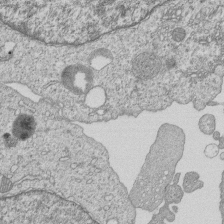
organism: Human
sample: MDA-MB-231 cells